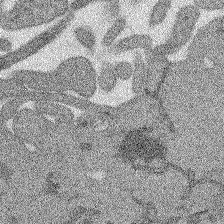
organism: Human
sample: HeLa cells